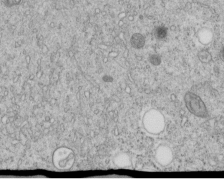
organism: C. elegans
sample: C. elegans embryo early stage